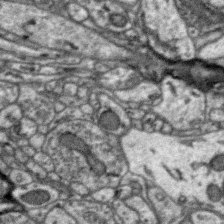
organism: Zebra finch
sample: Brain